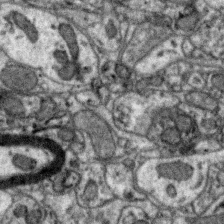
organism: Zebra finch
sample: Brain